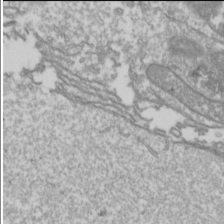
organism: Drosophila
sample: Cell division; meiosis; drosophila spermatocytes